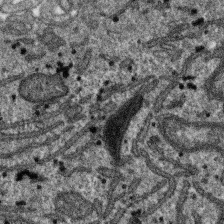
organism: Human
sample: Lung epithelial cells infected with SARS-CoV-2